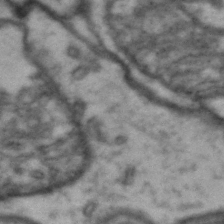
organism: Drosophila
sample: Brain